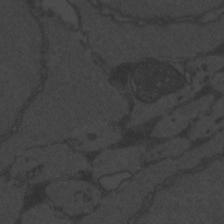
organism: Zebrafish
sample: Macrophage infected with Toxoplasma gondii